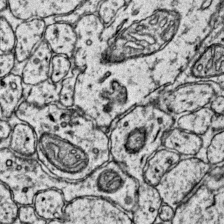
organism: Mouse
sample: Primary visual cortex